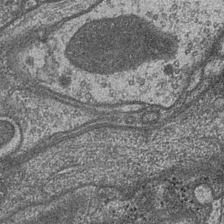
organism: Drosophila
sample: Optic medulla